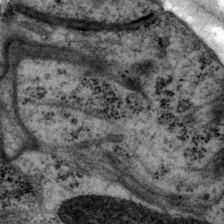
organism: P. pacificus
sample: Pharynx